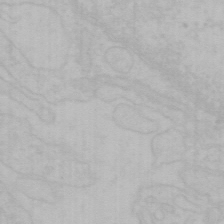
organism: Mouse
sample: Choroid plexus